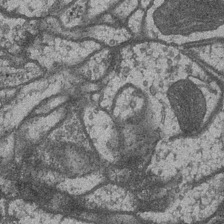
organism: Drosophila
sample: Optic medulla